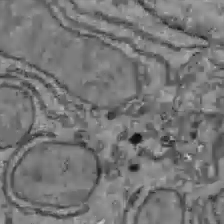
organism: C57BL Mouse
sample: Liver